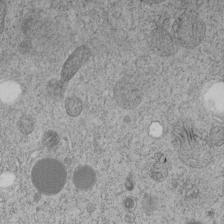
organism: C. elegans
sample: C. elegans embryo early stage